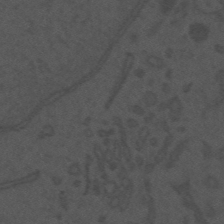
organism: Mouse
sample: Suprachiasmatic nucleus